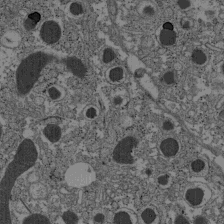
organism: C57BL Mouse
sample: Pancreatic islet